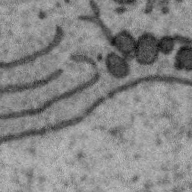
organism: Zebra finch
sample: Brain